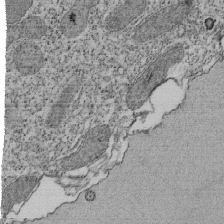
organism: Tetrahymena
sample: Cilia in tetrahymena